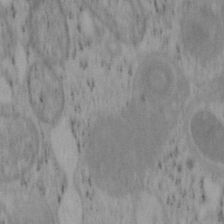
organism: Mouse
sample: OT-I killer T cells with ID8 ovarian cancer cells